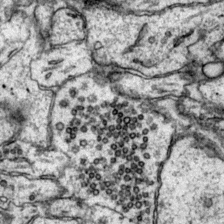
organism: Mouse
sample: Primary visual cortex